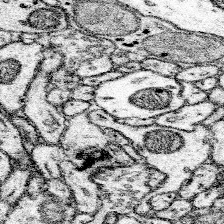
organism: Mouse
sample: Somatosensory cortex neuropil